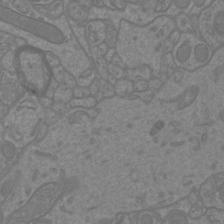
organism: Mouse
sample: Cortical neurons